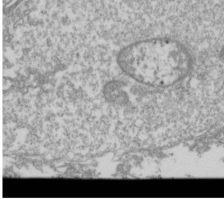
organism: Drosophila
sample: Cell division; meiosis; drosophila spermatocytes